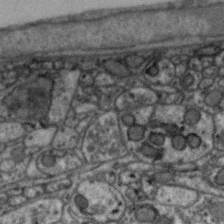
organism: Zebra finch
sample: Brain